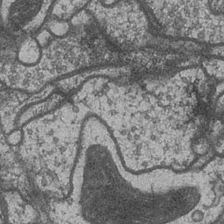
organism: Drosophila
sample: Optic medulla